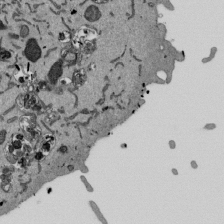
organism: Mouse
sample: ED-1 cell nuclei; centrioles